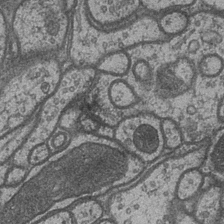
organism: Drosophila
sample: Optic medulla